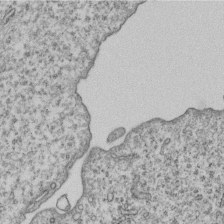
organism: Human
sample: MDA-MB-231 cells